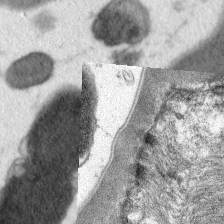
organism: C. elegans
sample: Pharynx